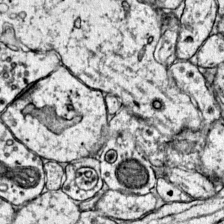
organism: Mouse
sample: Primary visual cortex